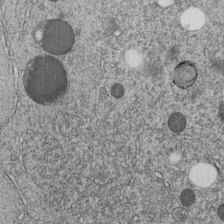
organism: C. elegans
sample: C. elegans embryo early stage